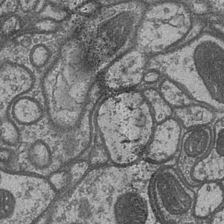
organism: Drosophila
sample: Optic medulla